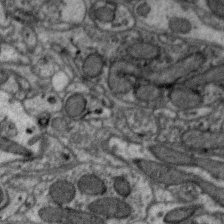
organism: Zebra finch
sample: Brain